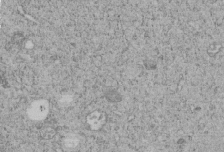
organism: C. elegans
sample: C. elegans embryo early stage